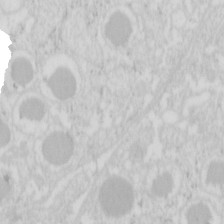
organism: Mouse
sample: Pancreas